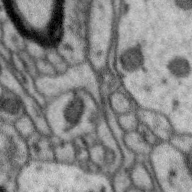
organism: Zebra finch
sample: Brain